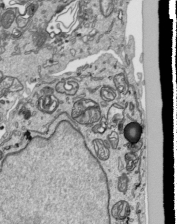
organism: Human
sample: Mitochondria in HCT116 cells